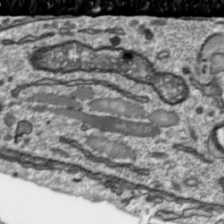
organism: Toxoplasma gondii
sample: Parasites in a vacuole inside a host cell